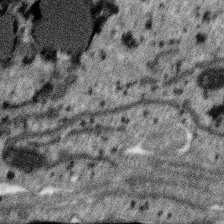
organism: Human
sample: Lung epithelial cells infected with SARS-CoV-2